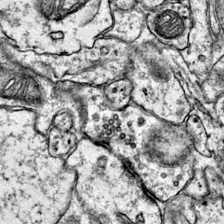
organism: Mouse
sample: Primary visual cortex